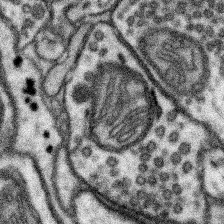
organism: Mouse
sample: Somatosensory cortex neuropil